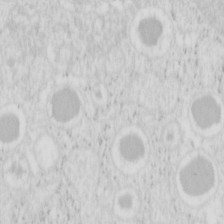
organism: Mouse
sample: Pancreas